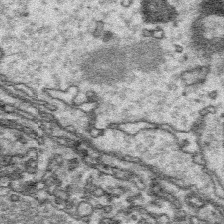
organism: Platynereis dumerilii